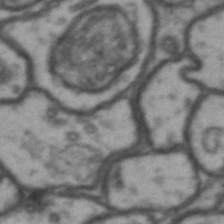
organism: Drosophila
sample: Brain